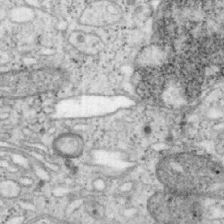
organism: Mouse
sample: OT-I killer T cells with ID8 ovarian cancer cells